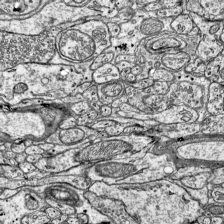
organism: Mouse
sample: Visual Cortex